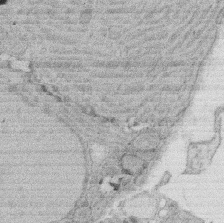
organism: Rat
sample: Salivary granule